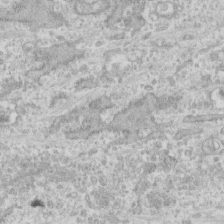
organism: Human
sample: CRL-1474